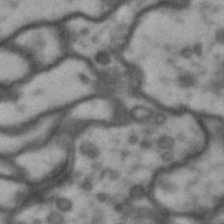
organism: Drosophila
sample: Brain